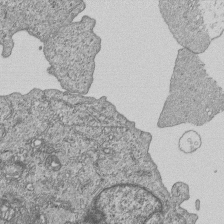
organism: Human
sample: MDA-MB-231 cells